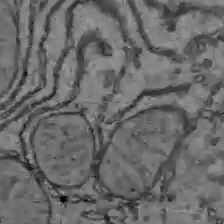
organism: C57BL Mouse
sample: Liver